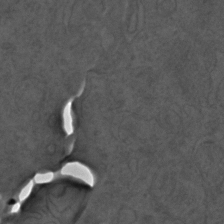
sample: Trachea